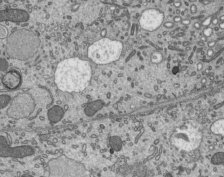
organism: Mouse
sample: Mouse epididymis efferent ductule cilia